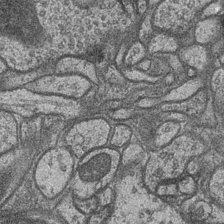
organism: Drosophila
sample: Optic medulla